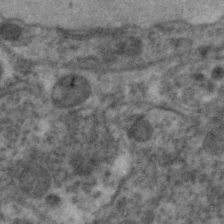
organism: C. elegans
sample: Pharynx